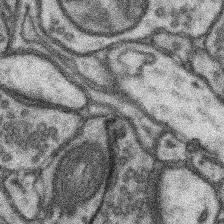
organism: Mouse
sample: Somatosensory cortex neuropil